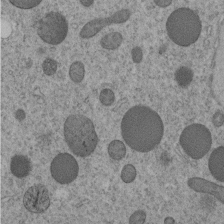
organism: C. elegans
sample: C. elegans embryo early stage